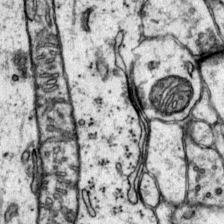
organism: Mouse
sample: Primary visual cortex